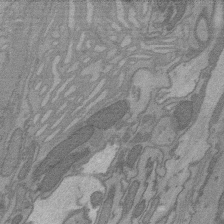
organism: C. elegans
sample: AFD neurons C. elegans